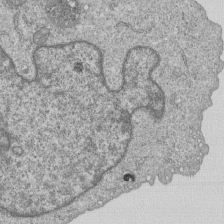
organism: Human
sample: MDA-MB-231 cells